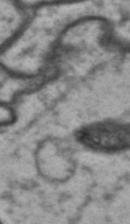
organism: Drosophila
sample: Brain